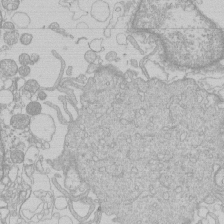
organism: Human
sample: Macrophage cells